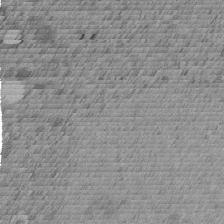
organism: C. elegans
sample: C. elegans embryo early stage